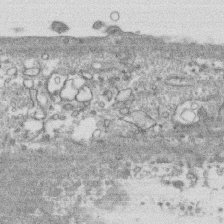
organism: Human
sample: CRL-1474